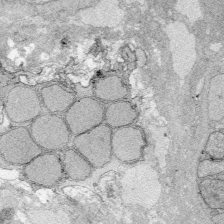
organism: Zebrafish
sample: Whole-Brain